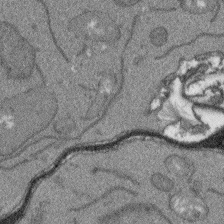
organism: Arabidopsis thaliana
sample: Root tip